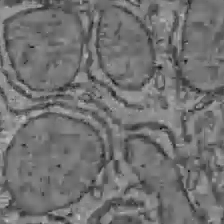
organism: C57BL Mouse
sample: Liver